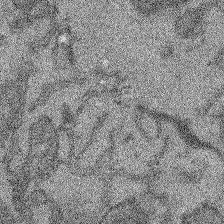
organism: Human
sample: HeLa cells